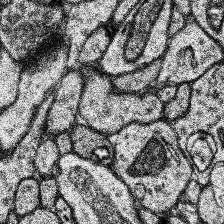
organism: Human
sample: Temporal Lobe